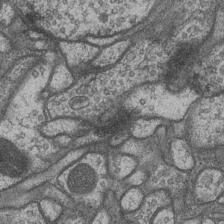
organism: Drosophila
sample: Optic medulla